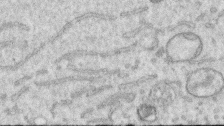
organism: Human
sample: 1205lu cells